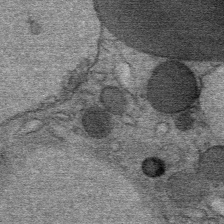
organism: Mouse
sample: Mouse Salivary gland